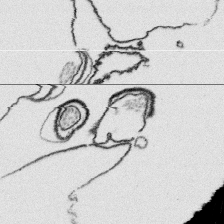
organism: Platynereis dumerilii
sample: Parapodia